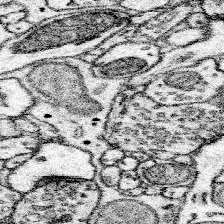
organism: Mouse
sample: Somatosensory cortex neuropil